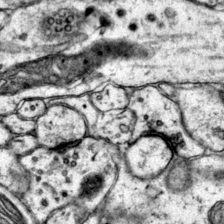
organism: Mouse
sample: Primary visual cortex